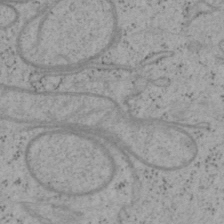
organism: Human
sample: HeLa cells